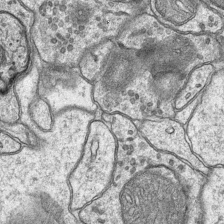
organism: Mouse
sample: CA1 Hippocampus